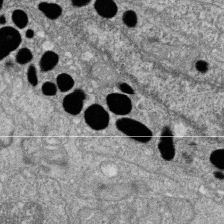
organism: Zebrafish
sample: Cilia; retinal pigment epithelium